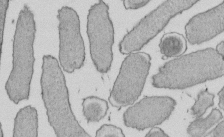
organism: E. coli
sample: Bacterial nucleoid